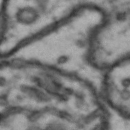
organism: Drosophila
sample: Brain